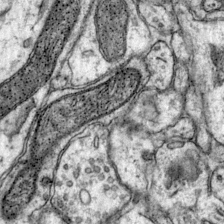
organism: Mouse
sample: Primary visual cortex